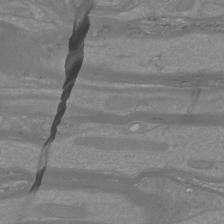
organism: Mouse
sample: Cortical neurons